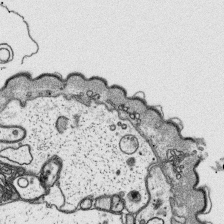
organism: Platynereis dumerilii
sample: Parapodia